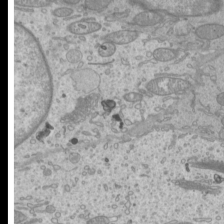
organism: Mouse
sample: Cilia; mouse epididymis